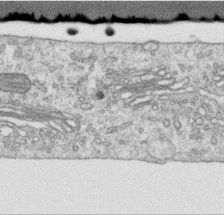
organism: Human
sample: Centriole in RPE cells